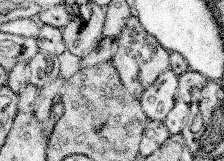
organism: Mouse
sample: Somatosensory cortex neuropil